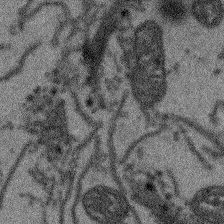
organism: Arabidopsis thaliana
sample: Root tip